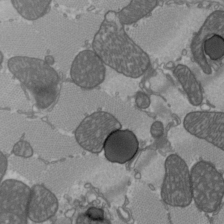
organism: C57BL Mouse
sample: Heart